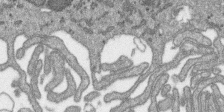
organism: Human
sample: Lung epithelial cells infected with SARS-CoV-2